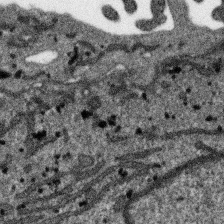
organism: Human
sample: Lung epithelial cells infected with SARS-CoV-2